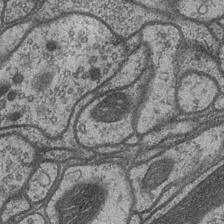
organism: Drosophila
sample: Optic medulla